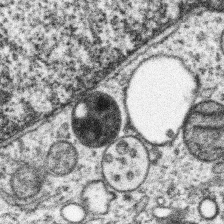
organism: Human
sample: HeLa cells